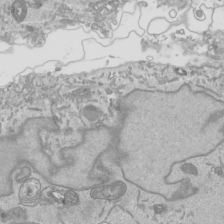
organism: Human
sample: Mitochondria in HCT116 cells